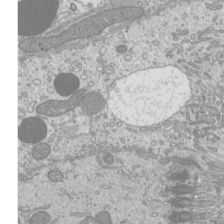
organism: Mouse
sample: Cilia; mouse epididymis